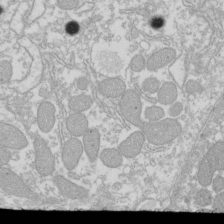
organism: Xenopus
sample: Cilia; centrioles in frog embryo cells